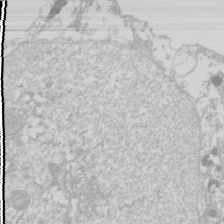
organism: Drosophila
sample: Cell division; meiosis; drosophila spermatocytes